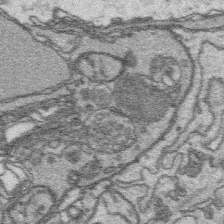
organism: Platynereis dumerilii